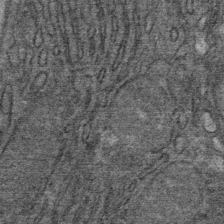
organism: Mouse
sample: Mouse Salivary gland